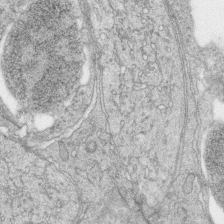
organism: Zebrafish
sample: synaptic ribbons in rod cells and cone cells